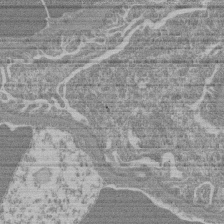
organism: Mouse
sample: Glomerulus